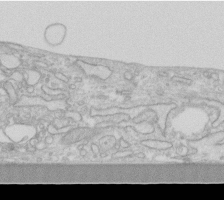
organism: Human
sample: Fibroblast cells